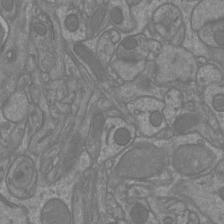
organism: Mouse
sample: Cortical neurons